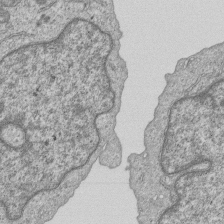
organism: Human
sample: MDA-MB-231 cells